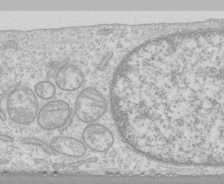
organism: Human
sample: CRL-1474